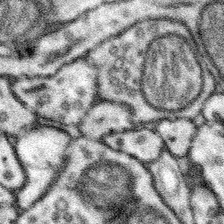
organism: Mouse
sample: Somatosensory cortex neuropil